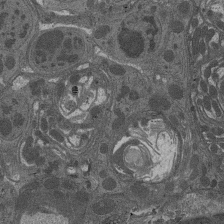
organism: Drosophila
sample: Antenna